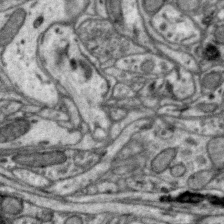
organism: Zebra finch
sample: Brain